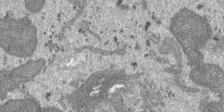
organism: Human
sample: Lung epithelial cells infected with SARS-CoV-2